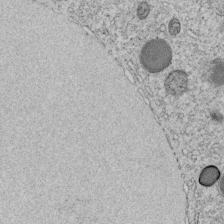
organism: C. elegans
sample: C. elegans embryo early stage